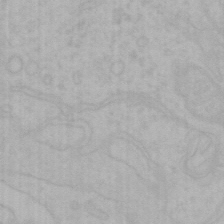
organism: Mouse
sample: Choroid plexus